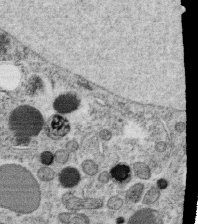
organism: C. elegans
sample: C. elegans oocyte; sperm cells